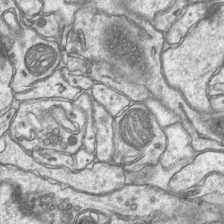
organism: Mouse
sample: CA1 Hippocampus